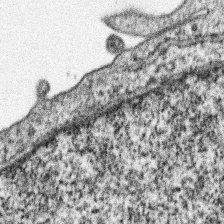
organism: Human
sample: HeLa cells